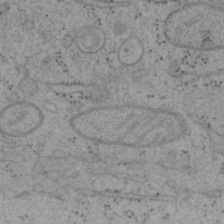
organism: Human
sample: HeLa cells